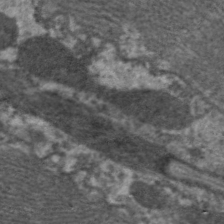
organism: C. elegans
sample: Pharynx